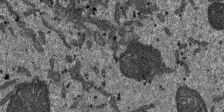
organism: Human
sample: Lung epithelial cells infected with SARS-CoV-2